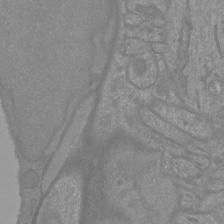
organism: Mouse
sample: Cortical neurons